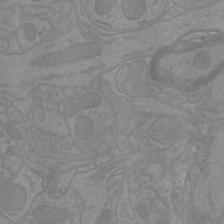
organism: Mouse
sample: Cortical neurons